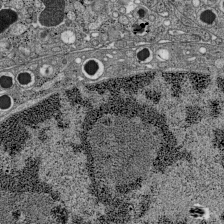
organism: C57BL Mouse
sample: Pancreatic islet